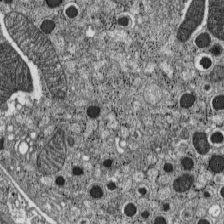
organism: C57BL Mouse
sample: Pancreatic islet